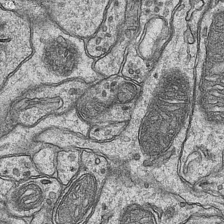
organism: Mouse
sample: CA1 Hippocampus